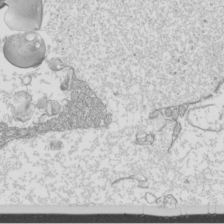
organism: Mouse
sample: Cilia; mouse epididymis